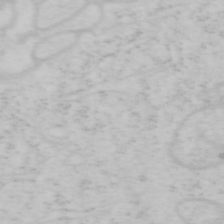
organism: Mouse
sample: OT-I killer T cells with ID8 ovarian cancer cells